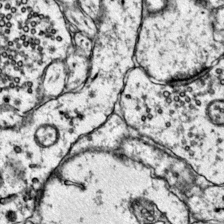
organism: Mouse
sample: Primary visual cortex